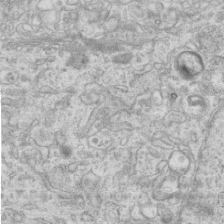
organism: Mouse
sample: Centriole in ependymal cells